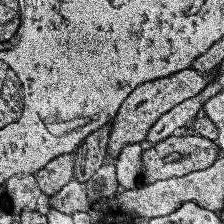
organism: Human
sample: Temporal Lobe